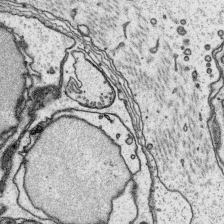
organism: Platynereis dumerilii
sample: Parapodia